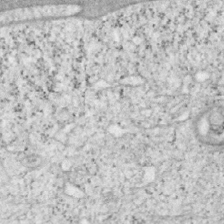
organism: Mouse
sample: OT-I killer T cells with ID8 ovarian cancer cells